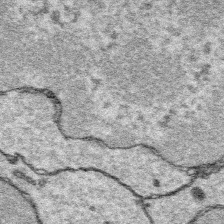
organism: Platynereis dumerilii